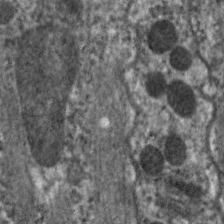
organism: C. elegans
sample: Pharynx